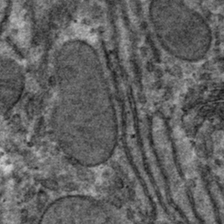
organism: Mouse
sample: Mouse hepatocytes